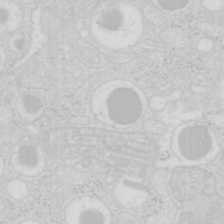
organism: Mouse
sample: Pancreas